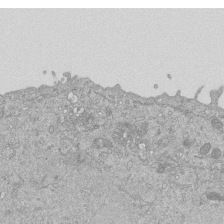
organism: Mouse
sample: ED-1 cell nuclei; centrioles